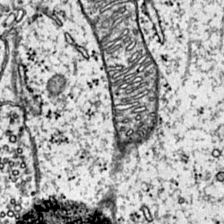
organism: Mouse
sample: Primary visual cortex